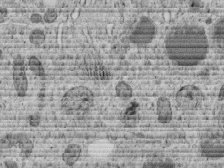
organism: C. elegans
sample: C. elegans embryo early stage